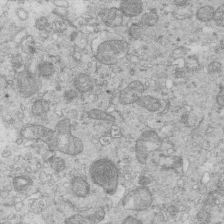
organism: Mouse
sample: Multiciliated cells